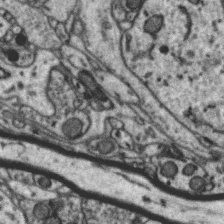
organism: Zebra finch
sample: Brain